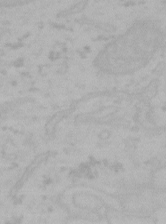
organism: Mouse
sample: Choroid plexus